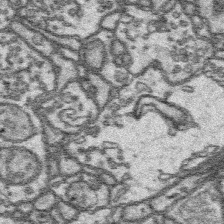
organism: Platynereis dumerilii